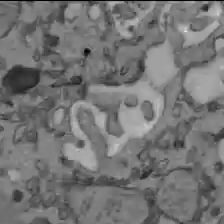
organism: C57BL Mouse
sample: Liver